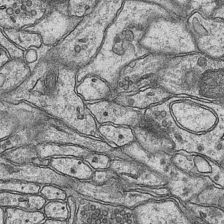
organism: Mouse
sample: CA1 Hippocampus